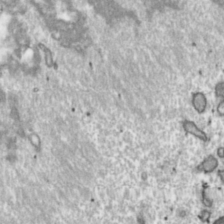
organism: Toxoplasma gondii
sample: Parasites in a vacuole inside a host cell